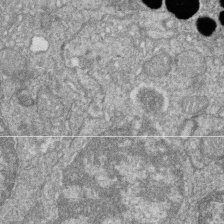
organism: Zebrafish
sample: Cilia; retinal pigment epithelium